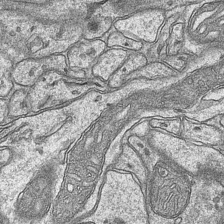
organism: Mouse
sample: CA1 Hippocampus